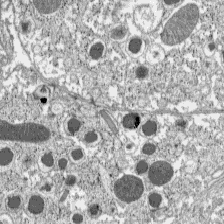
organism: C57BL Mouse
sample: Pancreatic islet